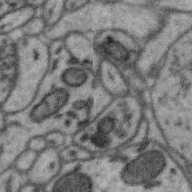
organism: Zebra finch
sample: Brain